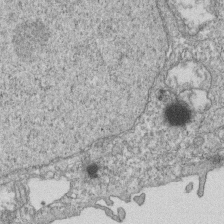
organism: Human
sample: HeLa cell HIV synapse